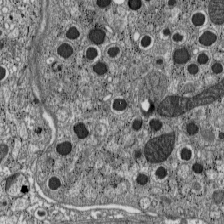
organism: C57BL Mouse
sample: Pancreatic islet